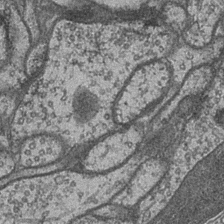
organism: Drosophila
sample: Optic medulla